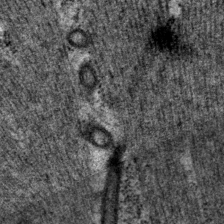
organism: P. pacificus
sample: Pharynx